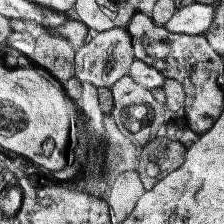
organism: Human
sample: Temporal Lobe